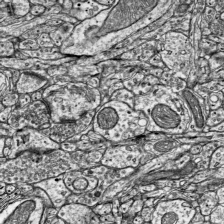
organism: Mouse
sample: Visual Cortex